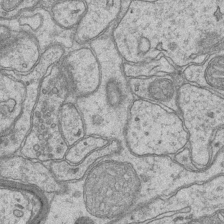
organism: Mouse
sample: CA1 Hippocampus